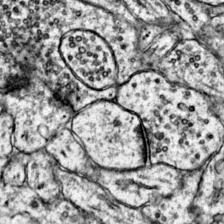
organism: Mouse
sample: Primary visual cortex